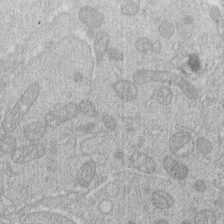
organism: Human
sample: Macrophage cells